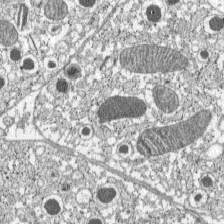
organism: C57BL Mouse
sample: Pancreatic islet